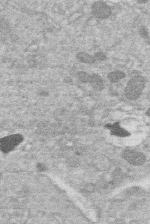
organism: Human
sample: Macrophage cells